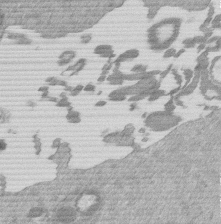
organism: Mouse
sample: Dividing mouse embryo 1 cell stage